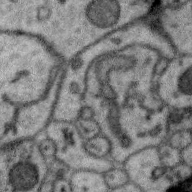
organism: Zebra finch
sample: Brain